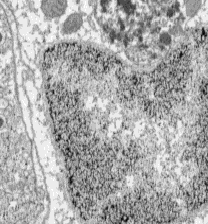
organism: C57BL Mouse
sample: Pancreatic islet